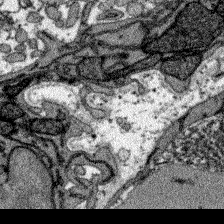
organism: Zebrafish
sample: Larval olfactory bulb